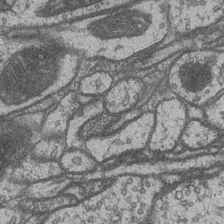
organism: Drosophila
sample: Optic medulla